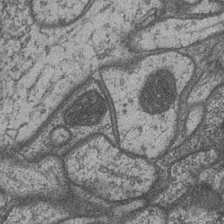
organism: Drosophila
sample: Optic medulla